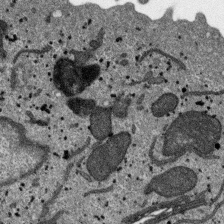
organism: Human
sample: Lung epithelial cells, uninfected (mock) control